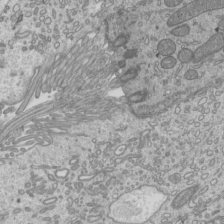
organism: Mouse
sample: Cilia; mouse epididymis